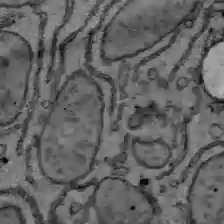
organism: C57BL Mouse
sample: Liver